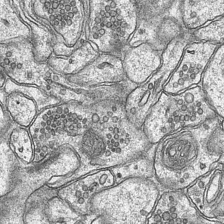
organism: Mouse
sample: CA1 Hippocampus